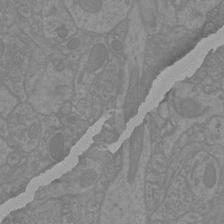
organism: Mouse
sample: Cortical neurons